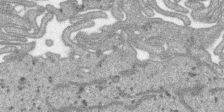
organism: Human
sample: Lung epithelial cells infected with SARS-CoV-2